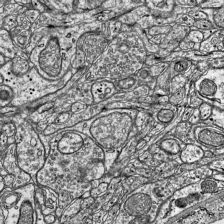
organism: Mouse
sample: Visual Cortex